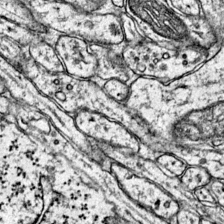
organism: Mouse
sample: Primary visual cortex